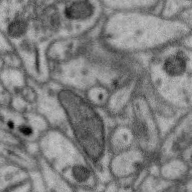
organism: Zebra finch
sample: Brain